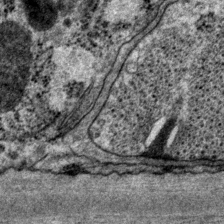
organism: P. pacificus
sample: Pharynx